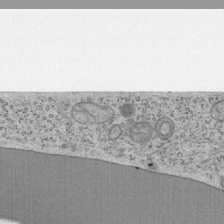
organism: Human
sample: HeLa cells